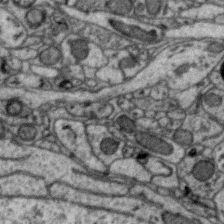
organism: Zebra finch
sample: Brain